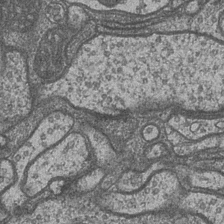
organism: Drosophila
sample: Optic medulla